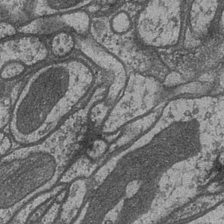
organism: Drosophila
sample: Optic medulla